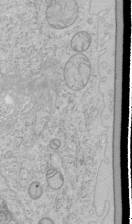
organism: Human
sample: Mitochondria in HCT116 cells